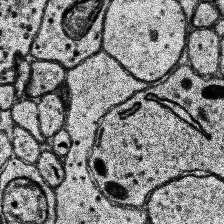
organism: Human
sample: Temporal Lobe